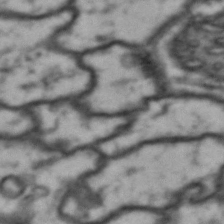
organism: Drosophila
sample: Brain